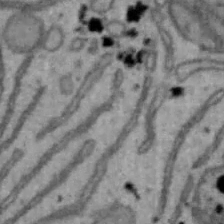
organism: Mouse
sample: Liver